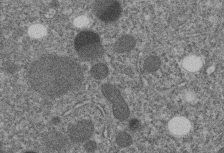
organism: C. elegans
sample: C. elegans embryo early stage